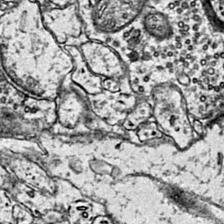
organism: Mouse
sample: Primary visual cortex